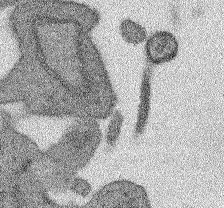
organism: Human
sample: HeLa cells